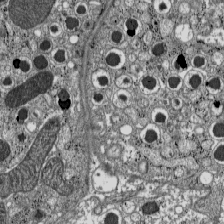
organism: C57BL Mouse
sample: Pancreatic islet